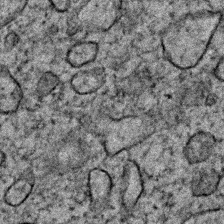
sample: Trachea